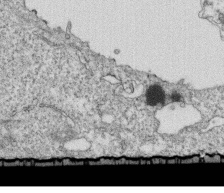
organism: Human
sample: HeLa cell HIV synapse